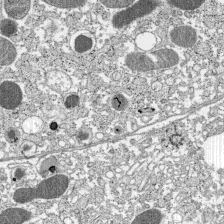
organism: C57BL Mouse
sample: Pancreatic islet